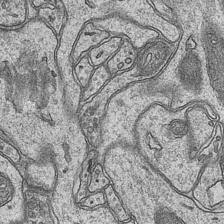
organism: Mouse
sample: CA1 Hippocampus